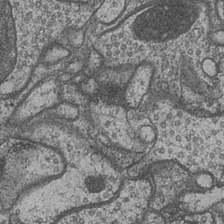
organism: Drosophila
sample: Optic medulla